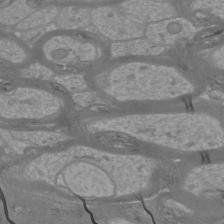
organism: Mouse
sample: Cortical neurons